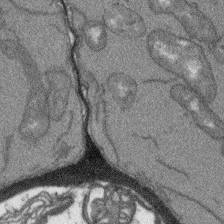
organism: Arabidopsis thaliana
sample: Root tip